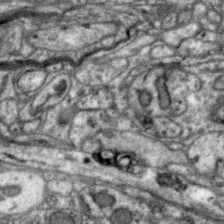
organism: Zebra finch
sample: Brain